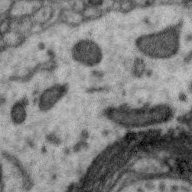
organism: Zebra finch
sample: Brain